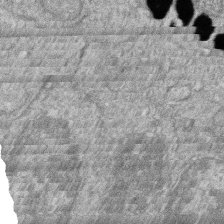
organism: Zebrafish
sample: Cilia; retinal pigment epithelium